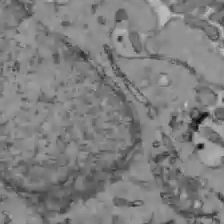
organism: C57BL Mouse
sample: Liver